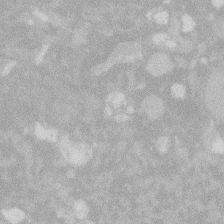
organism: Zebrafish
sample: Macrophage